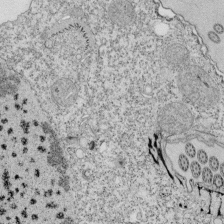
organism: Tetrahymena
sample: Cilia in tetrahymena